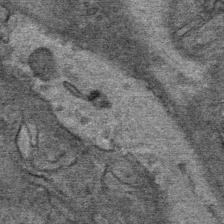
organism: Mouse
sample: Mouse Salivary gland